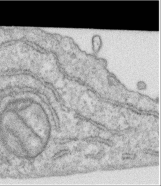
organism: Human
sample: Centriole in RPE cells